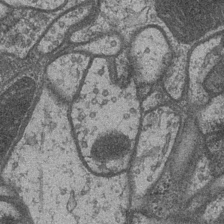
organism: Drosophila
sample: Optic medulla